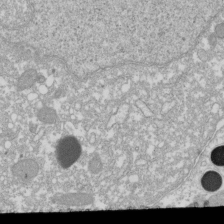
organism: Xenopus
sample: Cilia; centrioles in frog embryo cells